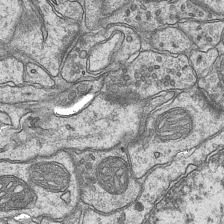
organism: Mouse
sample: CA1 Hippocampus